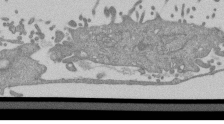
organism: Mouse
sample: ED-1 cell nuclei; centrioles